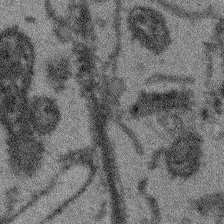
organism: Arabidopsis thaliana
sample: Root tip